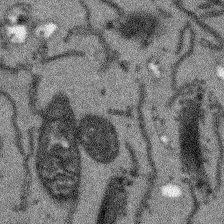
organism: Arabidopsis thaliana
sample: Root tip